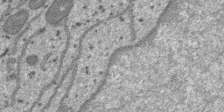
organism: Human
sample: Lung epithelial cells infected with SARS-CoV-2